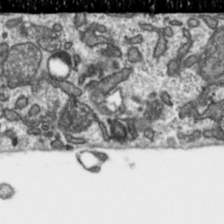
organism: Toxoplasma gondii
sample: Parasites in a vacuole inside a host cell